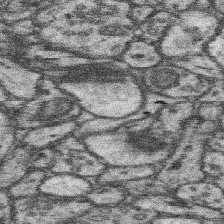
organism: Mouse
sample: Somatosensory cortex neuropil